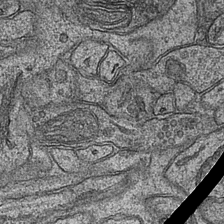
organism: Mouse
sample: CA1 Hippocampus